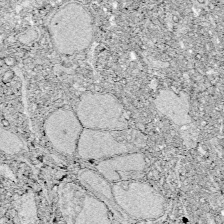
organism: Zebrafish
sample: Whole-Brain